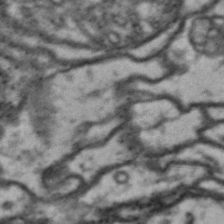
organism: Drosophila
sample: Brain